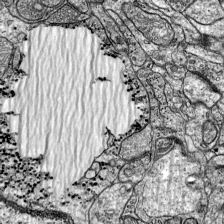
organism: Mouse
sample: Visual Cortex